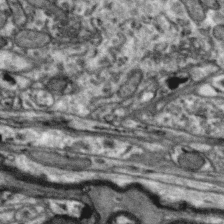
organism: Zebra finch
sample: Brain